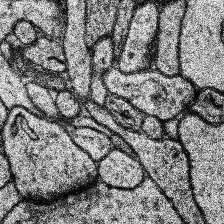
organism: Human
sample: Temporal Lobe